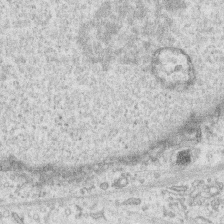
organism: Human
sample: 1205lu cells